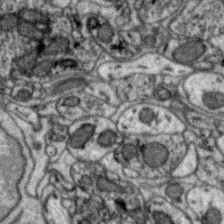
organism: Zebra finch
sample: Brain